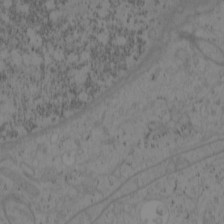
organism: Human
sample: HeLa cells